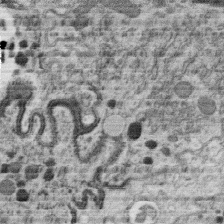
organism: C. elegans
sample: C. elegans oocyte; sperm cells